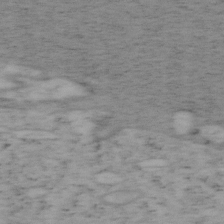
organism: Mouse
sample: OT-I killer T cells with ID8 ovarian cancer cells